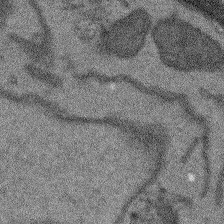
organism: Arabidopsis thaliana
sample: Root tip